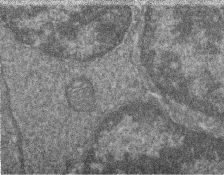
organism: Zebrafish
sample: Cilia; retinal pigment epithelium